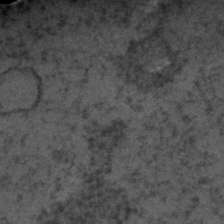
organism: C. elegans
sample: C. elegans embryo